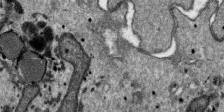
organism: Human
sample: Lung epithelial cells, uninfected (mock) control